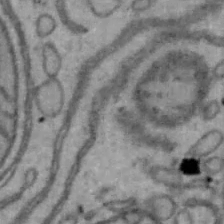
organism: Mouse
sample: Liver